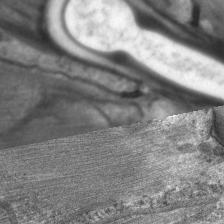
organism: C. elegans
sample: Pharynx